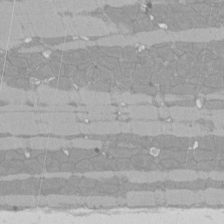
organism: Rat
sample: Left ventricle